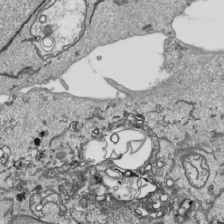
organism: Human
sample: Mitochondria in HCT116 cells